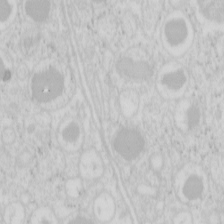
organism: Mouse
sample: Pancreas